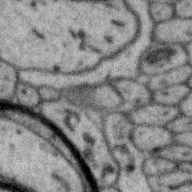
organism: Zebra finch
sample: Brain